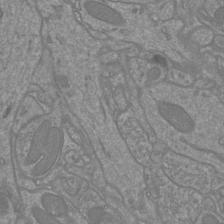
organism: Mouse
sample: Cortical neurons